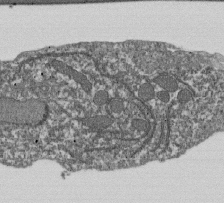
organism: Dictyostelium discoideum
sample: Dictyostelium multivesicular bodies